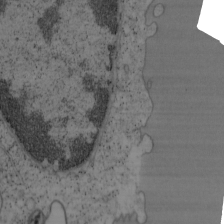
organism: Mouse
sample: OT-I killer T cells with ID8 ovarian cancer cells